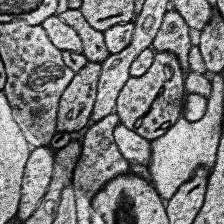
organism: Human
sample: Temporal Lobe